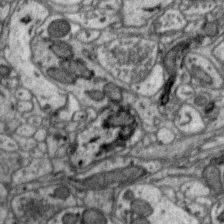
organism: Zebra finch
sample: Brain